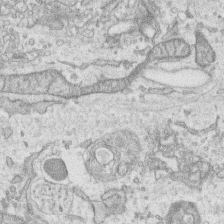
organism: Human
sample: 1205lu cells